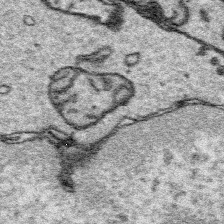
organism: Platynereis dumerilii